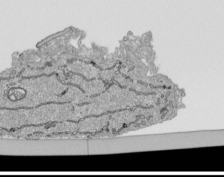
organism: Human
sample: Mitochondria in HCT116 cells